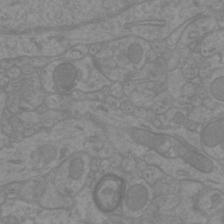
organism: Mouse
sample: Cortical neurons